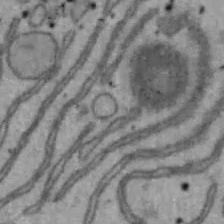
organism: Mouse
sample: Liver